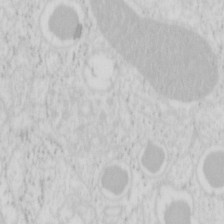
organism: Mouse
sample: Pancreas